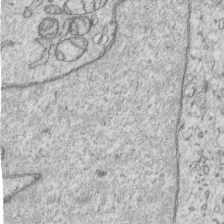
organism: Human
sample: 1205lu cells